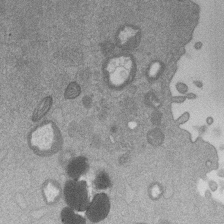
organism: Mouse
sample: Dividing mouse embryo 1 cell stage